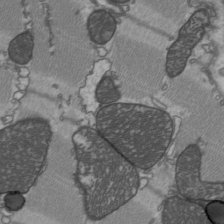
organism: C57BL Mouse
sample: Heart